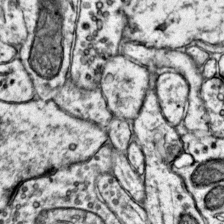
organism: Mouse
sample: Primary visual cortex